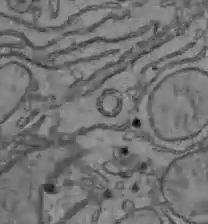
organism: C57BL Mouse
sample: Liver